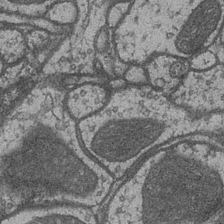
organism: Drosophila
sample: Optic medulla